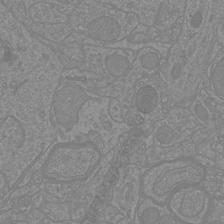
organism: Mouse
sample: Cortical neurons